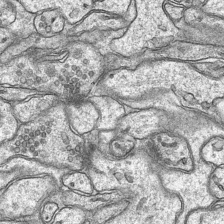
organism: Mouse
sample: CA1 Hippocampus